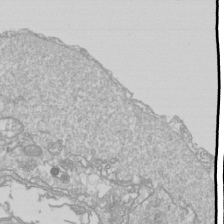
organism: Drosophila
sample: Cell division; meiosis; drosophila spermatocytes